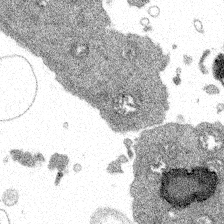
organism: Spongilla lacustris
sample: Multiple